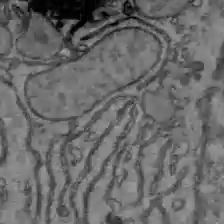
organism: C57BL Mouse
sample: Liver